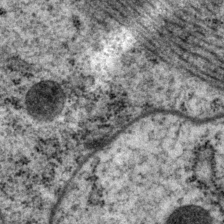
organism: P. pacificus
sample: Pharynx